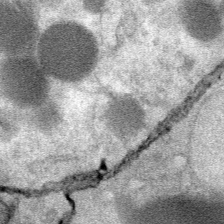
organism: Mouse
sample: Mouse Salivary gland